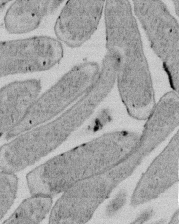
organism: E. coli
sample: Bacterial nucleoid